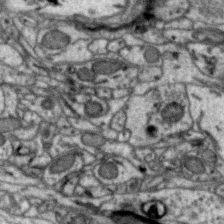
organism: Zebra finch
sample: Brain